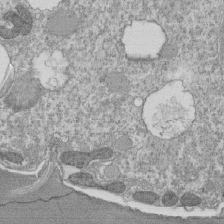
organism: Tetrahymena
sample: Cilia in tetrahymena